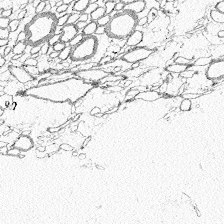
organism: Zebrafish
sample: Whole-Brain